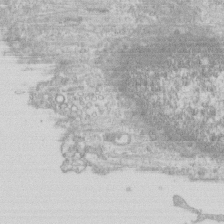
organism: Human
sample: CRL-1474